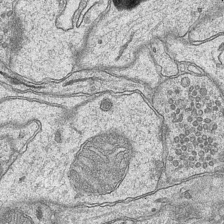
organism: Mouse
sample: CA1 Hippocampus